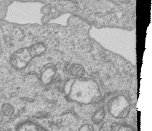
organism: Human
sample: MDA-MB-231 cells